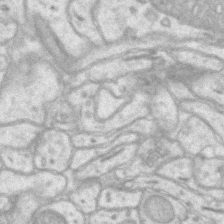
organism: Mouse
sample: CA1 Hippocampus